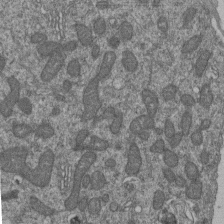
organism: Human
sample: Retinal organoid Rod and Cone cells